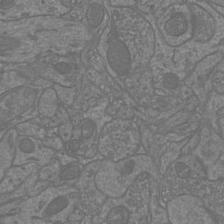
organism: Mouse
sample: Cortical neurons